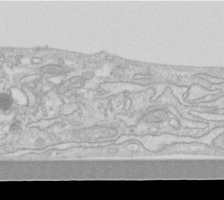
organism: Human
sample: Fibroblast cells